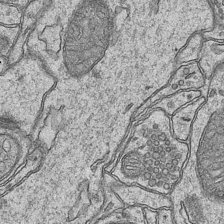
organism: Mouse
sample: CA1 Hippocampus